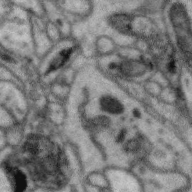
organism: Zebra finch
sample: Brain